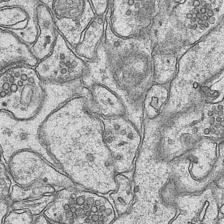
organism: Mouse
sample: CA1 Hippocampus